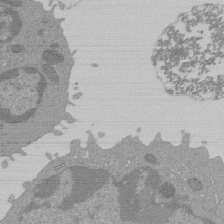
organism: Mouse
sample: Activated Pmel transgenic CD8+ T Cells